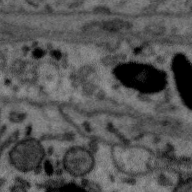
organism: Zebra finch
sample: Brain